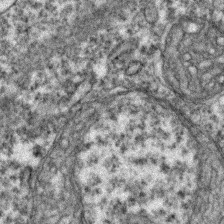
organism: Zebrafish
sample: Zebrafish embryo